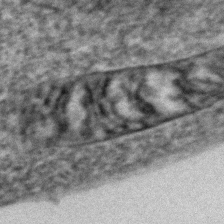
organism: Zebrafish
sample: Zebrafish embryo